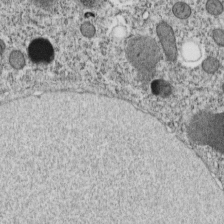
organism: C. elegans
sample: C. elegans embryo early stage